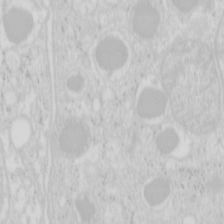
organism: Mouse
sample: Pancreas